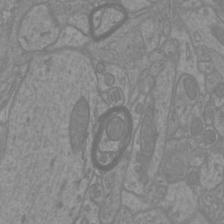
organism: Mouse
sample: Cortical neurons